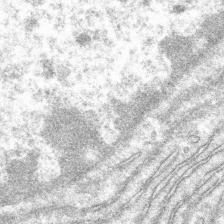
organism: Mouse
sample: Mouse hepatocytes